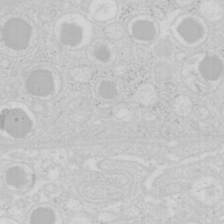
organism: Mouse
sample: Pancreas